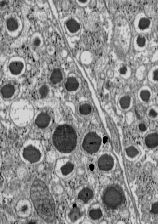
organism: C57BL Mouse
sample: Pancreatic islet